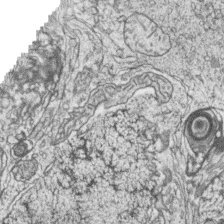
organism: Zebrafish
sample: synaptic ribbons in rod cells and cone cells